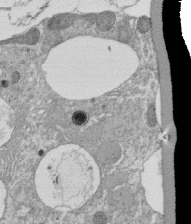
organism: Tetrahymena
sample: Cilia in tetrahymena